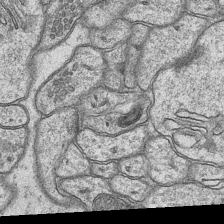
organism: Mouse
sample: CA1 Hippocampus